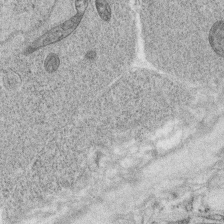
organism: C. elegans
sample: C. elegans oocyte; sperm cells